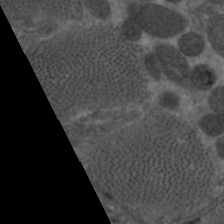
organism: C. elegans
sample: Pharynx